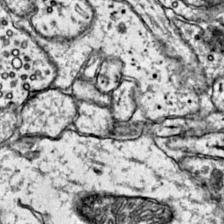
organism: Mouse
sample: Primary visual cortex